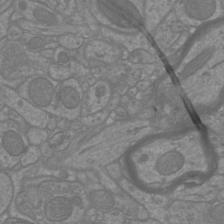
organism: Mouse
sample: Cortical neurons